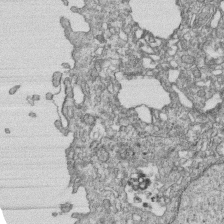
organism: Human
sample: HeLa cell HIV synapse